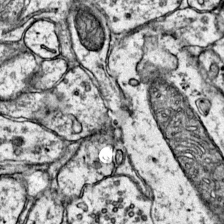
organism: Mouse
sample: Primary visual cortex